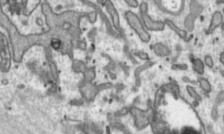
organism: Toxoplasma gondii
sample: Parasites in a vacuole inside a host cell